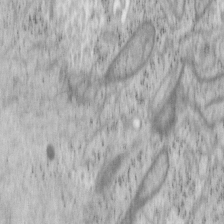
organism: Human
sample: HeLa cells